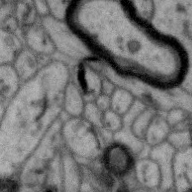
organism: Zebra finch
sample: Brain